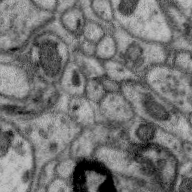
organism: Zebra finch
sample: Brain